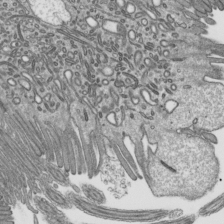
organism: Mouse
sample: Mouse epididymis efferent ductule cilia